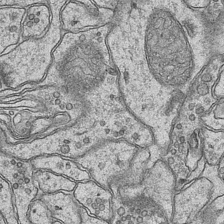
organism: Mouse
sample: CA1 Hippocampus